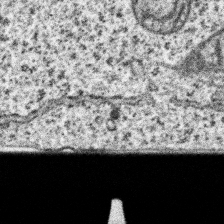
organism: Human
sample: HeLa cells